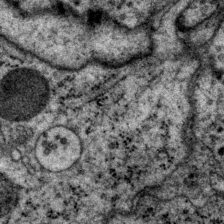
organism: P. pacificus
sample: Pharynx